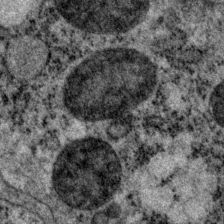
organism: P. pacificus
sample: Pharynx